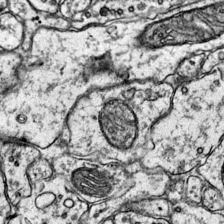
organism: Mouse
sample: Primary visual cortex